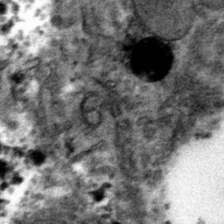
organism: Mouse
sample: Mouse hepatocytes